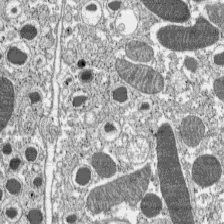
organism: C57BL Mouse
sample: Pancreatic islet